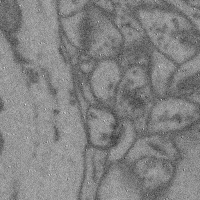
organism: Mouse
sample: Cerebral cortex